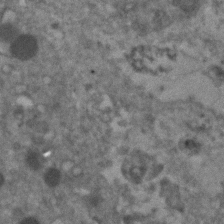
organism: Human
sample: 1205lu cells